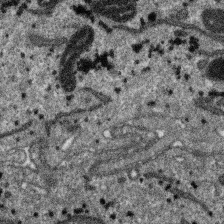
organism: Human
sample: Lung epithelial cells infected with SARS-CoV-2